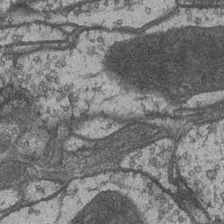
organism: Drosophila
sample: Optic medulla